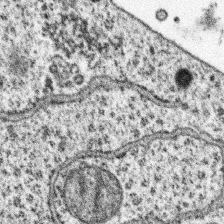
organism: Human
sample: HeLa cells